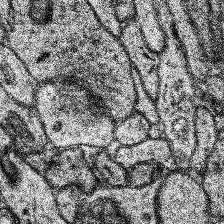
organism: Human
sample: Temporal Lobe